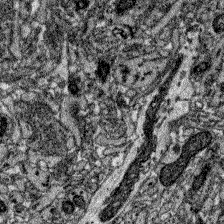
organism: Zebrafish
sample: Larval olfactory bulb